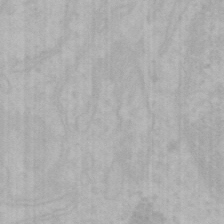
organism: Mouse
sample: Choroid plexus